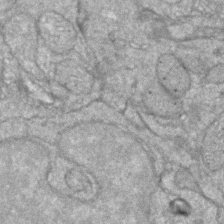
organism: Zebrafish